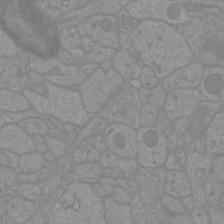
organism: Mouse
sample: Cortical neurons